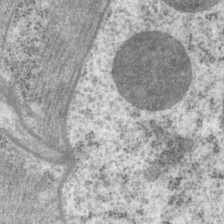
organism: P. pacificus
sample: Pharynx